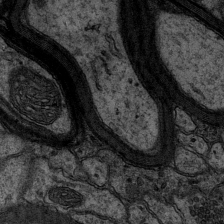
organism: Mouse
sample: CA1 Hippocampus